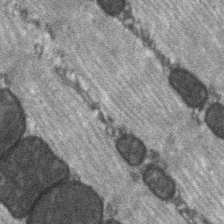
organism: C57BL Mouse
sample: Soleus